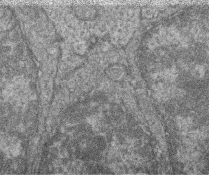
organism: Zebrafish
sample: Cilia; retinal pigment epithelium